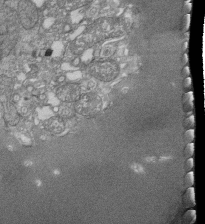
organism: Tetrahymena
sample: Cilia in tetrahymena